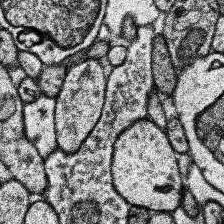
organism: Human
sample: Temporal Lobe